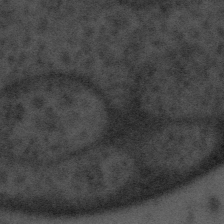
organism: Tuwongella immobilis